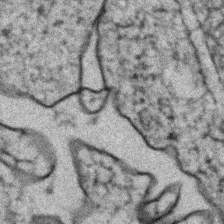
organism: Zebrafish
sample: Zebrafish embryo